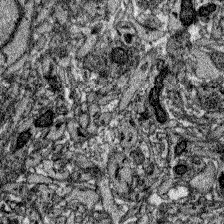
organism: Zebrafish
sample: Larval olfactory bulb